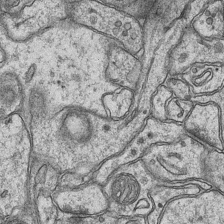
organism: Mouse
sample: CA1 Hippocampus